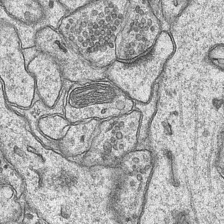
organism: Mouse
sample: CA1 Hippocampus